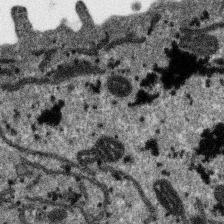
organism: Human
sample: Lung epithelial cells infected with SARS-CoV-2